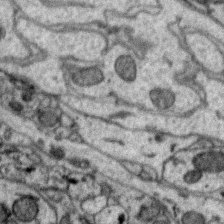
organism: Zebra finch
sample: Brain